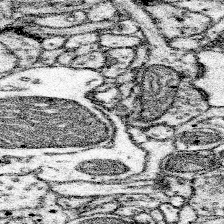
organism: Mouse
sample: Somatosensory cortex neuropil